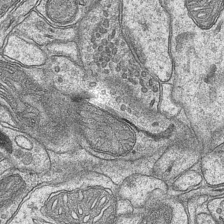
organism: Mouse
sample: CA1 Hippocampus